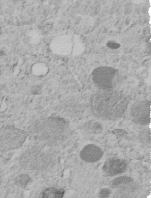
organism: C. elegans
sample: C. elegans embryo early stage